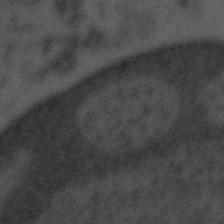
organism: Tuwongella immobilis